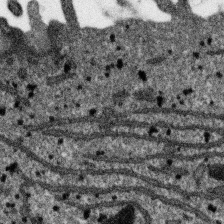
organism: Human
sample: Lung epithelial cells infected with SARS-CoV-2